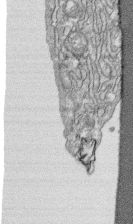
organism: Human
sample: CRL-1474